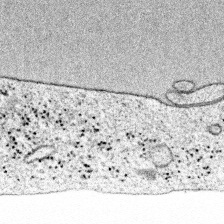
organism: Human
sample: HeLa cells